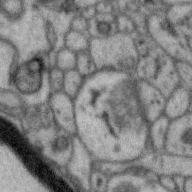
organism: Zebra finch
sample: Brain